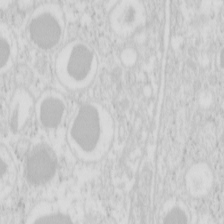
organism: Mouse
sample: Pancreas